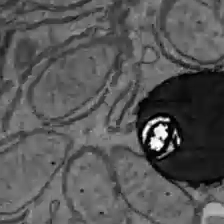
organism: C57BL Mouse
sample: Liver